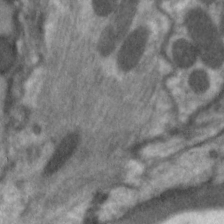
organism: C. elegans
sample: Pharynx